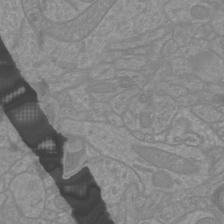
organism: Mouse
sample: Cortical neurons